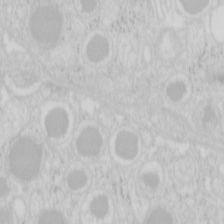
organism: Mouse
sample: Pancreas